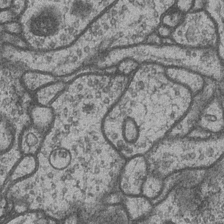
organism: Drosophila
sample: Optic medulla